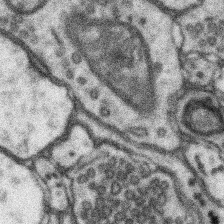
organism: Mouse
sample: Somatosensory cortex neuropil